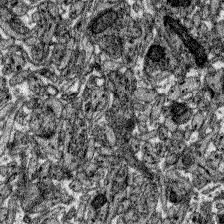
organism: Zebrafish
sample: Larval olfactory bulb